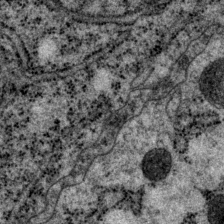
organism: P. pacificus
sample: Pharynx